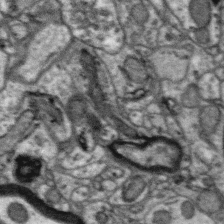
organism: Zebra finch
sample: Brain